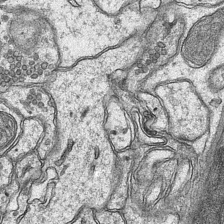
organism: Mouse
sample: CA1 Hippocampus